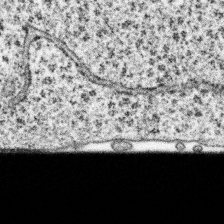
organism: Human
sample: HeLa cells